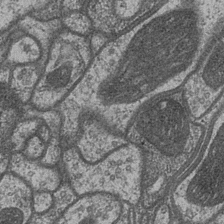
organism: Drosophila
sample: Optic medulla